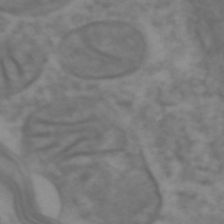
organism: Zebrafish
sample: Zebrafish embryo